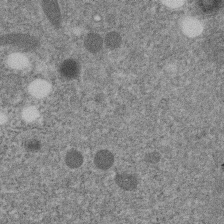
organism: C. elegans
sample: C. elegans embryo early stage